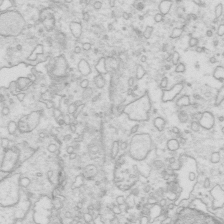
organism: Mouse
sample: Multiciliated cells